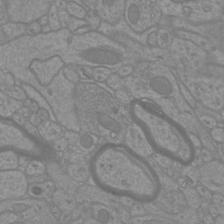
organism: Mouse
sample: Cortical neurons